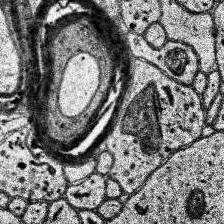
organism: Human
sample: Temporal Lobe